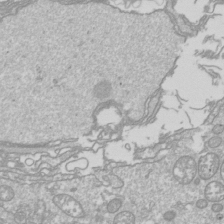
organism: Drosophila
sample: Cell division; meiosis; drosophila spermatocytes